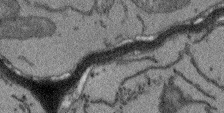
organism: Arabidopsis thaliana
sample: Root tip